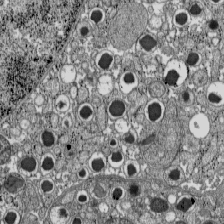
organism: C57BL Mouse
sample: Pancreatic islet